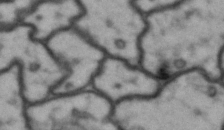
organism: Drosophila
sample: Brain